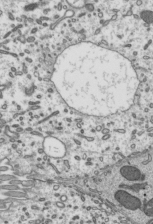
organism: Mouse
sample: Mouse epididymis efferent ductule cilia